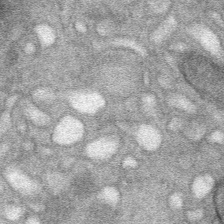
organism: Mouse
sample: Mouse Salivary gland